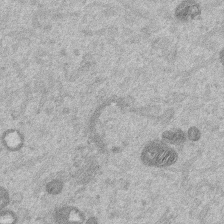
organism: Mouse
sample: Dividing mouse embryo 1 cell stage